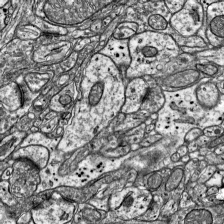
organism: Mouse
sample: Visual Cortex